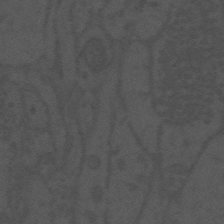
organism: Mouse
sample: Suprachiasmatic nucleus